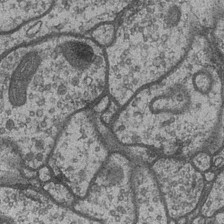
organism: Drosophila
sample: Optic medulla